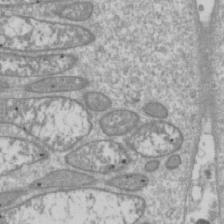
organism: Drosophila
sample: Cell division; meiosis; drosophila spermatocytes